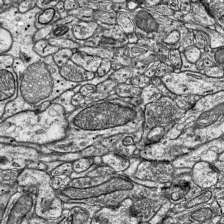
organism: Mouse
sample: Visual Cortex